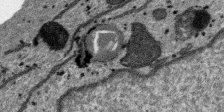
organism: Human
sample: Lung epithelial cells, uninfected (mock) control